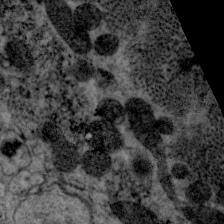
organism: C. elegans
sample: Pharynx